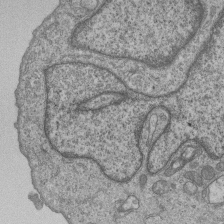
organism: Human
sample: MDA-MB-231 cells